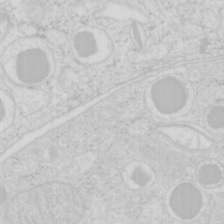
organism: Mouse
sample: Pancreas